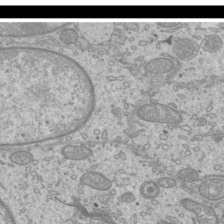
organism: Mouse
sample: Cilia; mouse epididymis